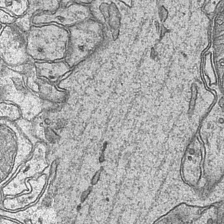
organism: Mouse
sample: CA1 Hippocampus